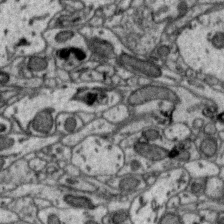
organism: Zebra finch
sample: Brain